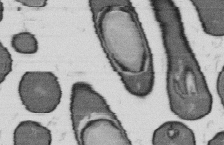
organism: B. subtilis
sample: Bacterial spore